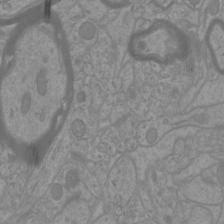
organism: Mouse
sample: Cortical neurons